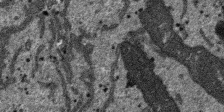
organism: Human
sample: Lung epithelial cells infected with SARS-CoV-2